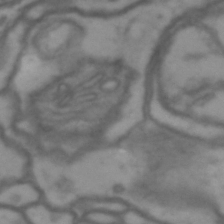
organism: Drosophila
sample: Brain